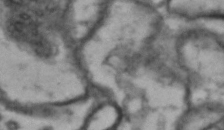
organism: Drosophila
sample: Brain